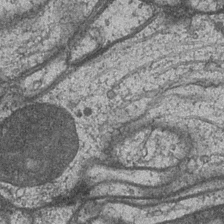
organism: Drosophila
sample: Optic medulla